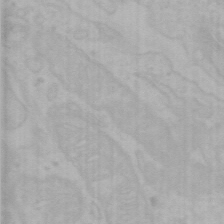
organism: Mouse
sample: Choroid plexus